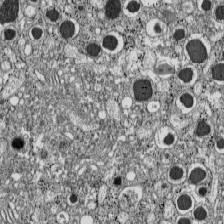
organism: C57BL Mouse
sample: Pancreatic islet